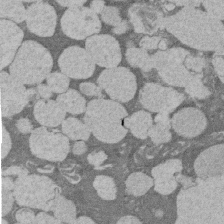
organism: Rat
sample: Salivary granule